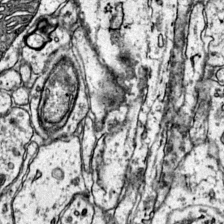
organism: Mouse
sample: Primary visual cortex